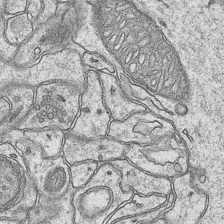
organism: Mouse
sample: CA1 Hippocampus